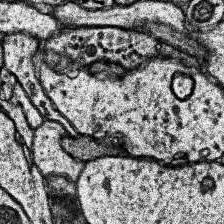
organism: Human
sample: Temporal Lobe